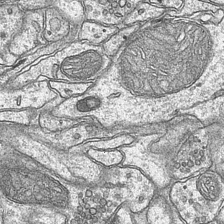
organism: Mouse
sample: CA1 Hippocampus